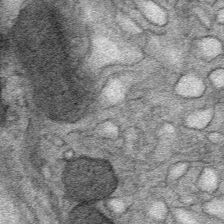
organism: Mouse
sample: Mouse Salivary gland